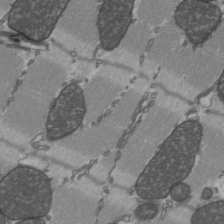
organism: C57BL Mouse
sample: Heart